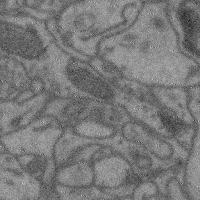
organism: Mouse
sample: Cerebral cortex